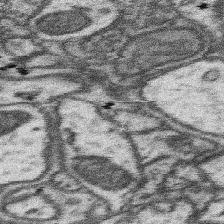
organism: Mouse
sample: Somatosensory cortex neuropil